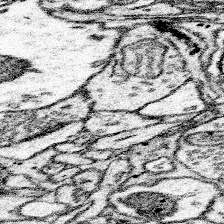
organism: Mouse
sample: Somatosensory cortex neuropil